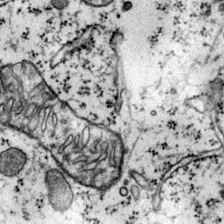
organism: Mouse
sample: Primary visual cortex